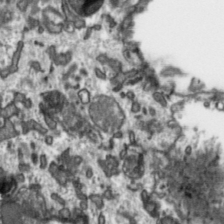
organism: Toxoplasma gondii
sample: Parasites in a vacuole inside a host cell